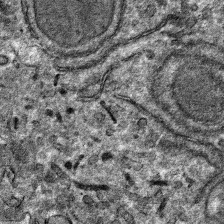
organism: Mouse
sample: Mouse hepatocytes